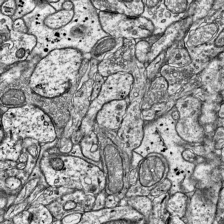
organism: Mouse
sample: Visual Cortex